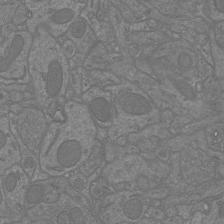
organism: Mouse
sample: Cortical neurons